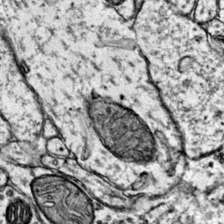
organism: Mouse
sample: Primary visual cortex